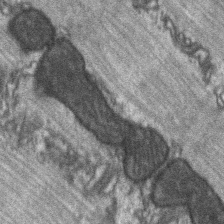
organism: C57BL Mouse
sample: Soleus